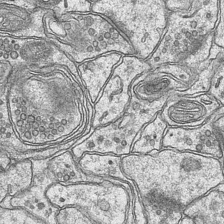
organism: Mouse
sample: CA1 Hippocampus